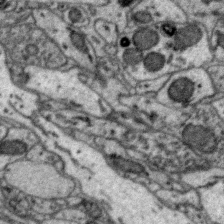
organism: Zebra finch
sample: Brain